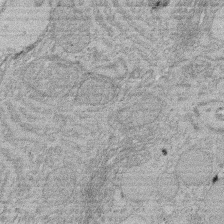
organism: Rat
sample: Salivary granule